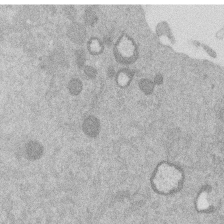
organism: Mouse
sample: Dividing mouse embryo 1 cell stage